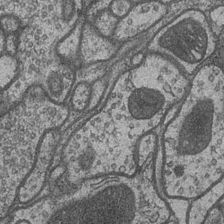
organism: Drosophila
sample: Optic medulla